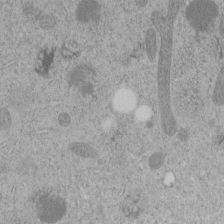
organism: C. elegans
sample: C. elegans embryo early stage